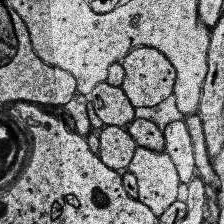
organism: Human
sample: Temporal Lobe